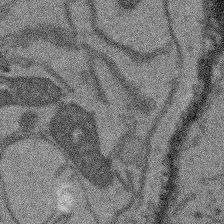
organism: Arabidopsis thaliana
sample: Root tip